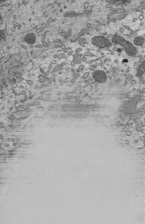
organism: Mouse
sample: Mouse epididymis efferent ductule cilia